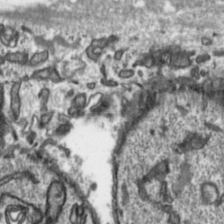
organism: Toxoplasma gondii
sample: Parasites in a vacuole inside a host cell